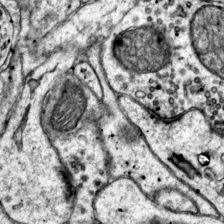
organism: Mouse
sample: Primary visual cortex